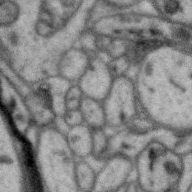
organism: Zebra finch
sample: Brain